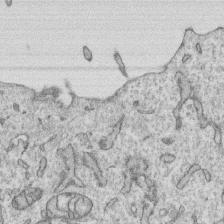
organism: Human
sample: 1205lu cells